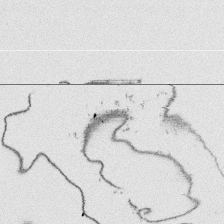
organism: Platynereis dumerilii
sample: Parapodia